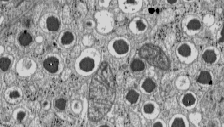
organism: C57BL Mouse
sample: Pancreatic islet